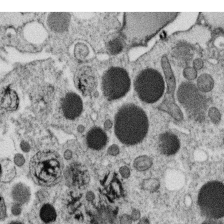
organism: C. elegans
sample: C. elegans oocyte; sperm cells